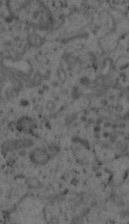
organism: Human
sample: HeLa cells